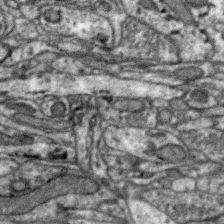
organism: Zebra finch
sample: Brain